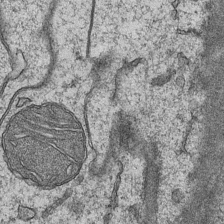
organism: Mouse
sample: CA1 Hippocampus